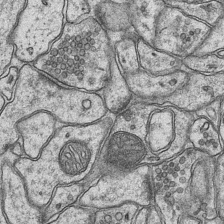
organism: Mouse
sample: CA1 Hippocampus